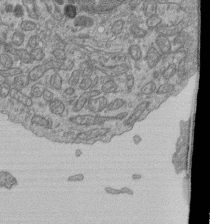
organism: Human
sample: Retinal organoid Rod and Cone cells